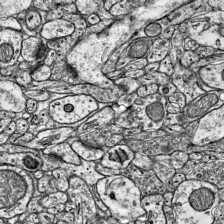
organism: Mouse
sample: Visual Cortex